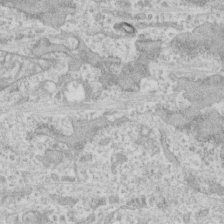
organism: Human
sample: CRL-1474